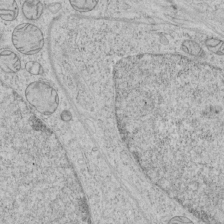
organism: Human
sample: Mitochondria in HCT116 cells